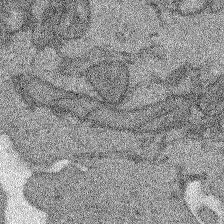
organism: Human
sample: HeLa cells